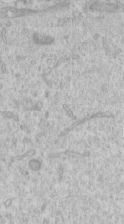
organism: Human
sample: Centriole in RPE cells